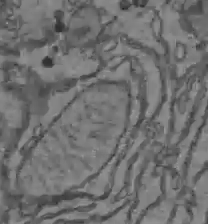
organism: C57BL Mouse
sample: Liver